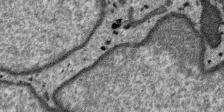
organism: Human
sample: Lung epithelial cells, uninfected (mock) control